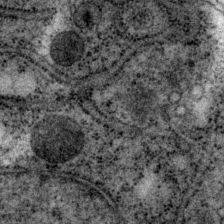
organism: P. pacificus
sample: Pharynx